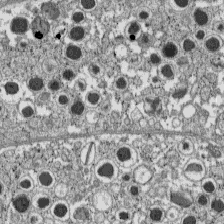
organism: C57BL Mouse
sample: Pancreatic islet